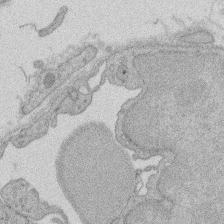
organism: Rat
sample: Salivary granule